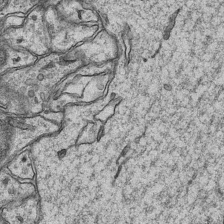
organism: Mouse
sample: CA1 Hippocampus